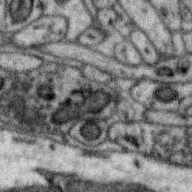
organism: Zebra finch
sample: Brain